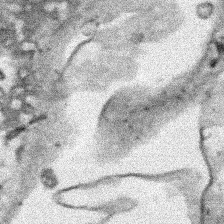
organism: Human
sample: Mitochondria in HCT116 cells